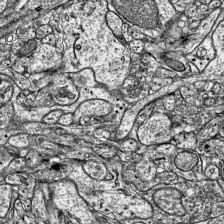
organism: Mouse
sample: Visual Cortex